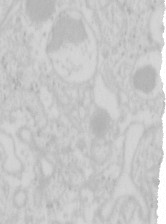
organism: Mouse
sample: Pancreas